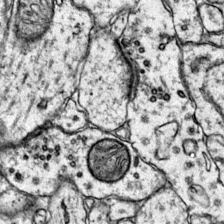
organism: Mouse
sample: Primary visual cortex